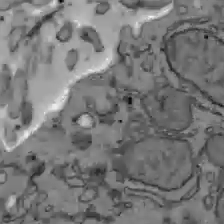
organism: C57BL Mouse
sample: Liver